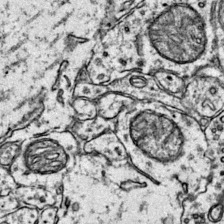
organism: Mouse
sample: Primary visual cortex